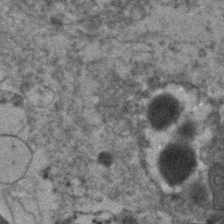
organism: Human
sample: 1205lu cells